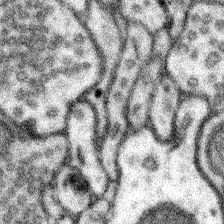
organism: Mouse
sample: Somatosensory cortex neuropil